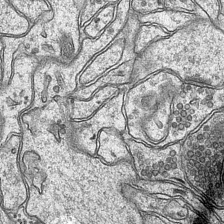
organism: Mouse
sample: CA1 Hippocampus